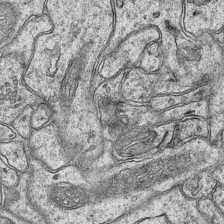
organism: Mouse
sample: CA1 Hippocampus